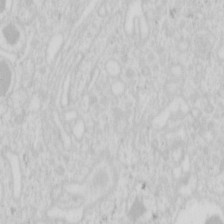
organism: Mouse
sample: Pancreas